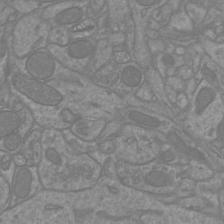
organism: Mouse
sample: Cortical neurons